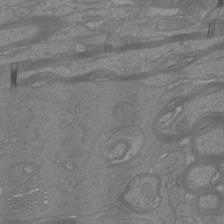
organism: Mouse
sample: Cortical neurons